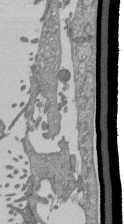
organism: Mouse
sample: ED-1 cell nuclei; centrioles